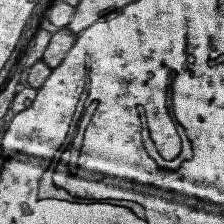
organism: Human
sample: Temporal Lobe